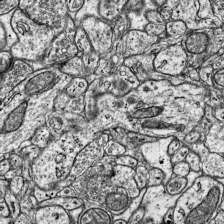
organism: Mouse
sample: Visual Cortex